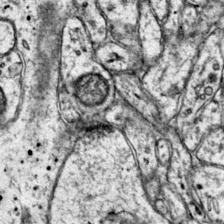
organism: Mouse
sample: Primary visual cortex